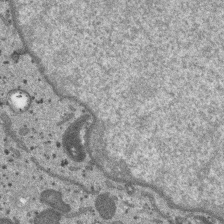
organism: Human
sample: Lung epithelial cells infected with SARS-CoV-2